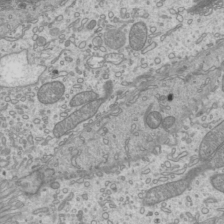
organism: Mouse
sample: Cilia; mouse epididymis